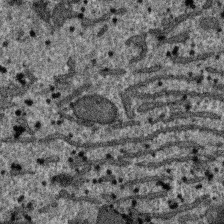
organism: Human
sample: Lung epithelial cells infected with SARS-CoV-2